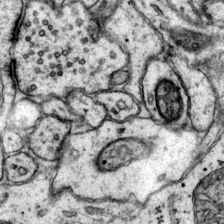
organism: Mouse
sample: Primary visual cortex